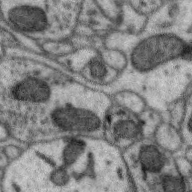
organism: Zebra finch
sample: Brain